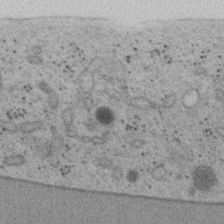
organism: Human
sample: HeLa cells